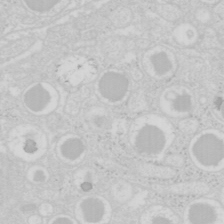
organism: Mouse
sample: Pancreas